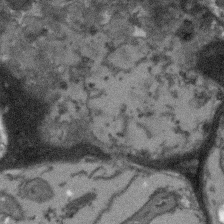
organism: Arabidopsis thaliana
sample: Root tip